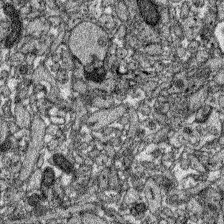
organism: Zebrafish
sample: Larval olfactory bulb